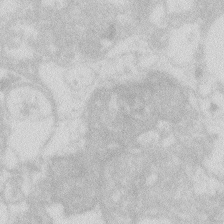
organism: Zebrafish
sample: Macrophage